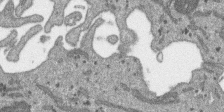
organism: Human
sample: Lung epithelial cells infected with SARS-CoV-2